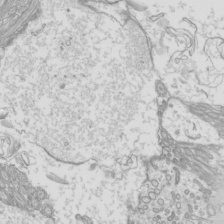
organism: Mouse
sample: Cilia; mouse epididymis